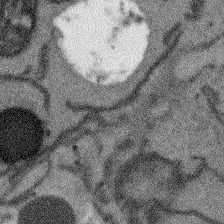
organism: Arabidopsis thaliana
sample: Root tip